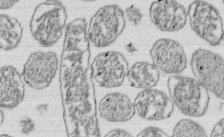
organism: E. coli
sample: Bacterial nucleoid